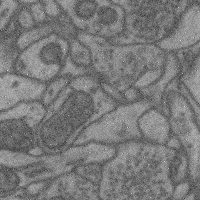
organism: Mouse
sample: Cerebral cortex